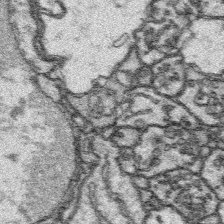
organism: Platynereis dumerilii